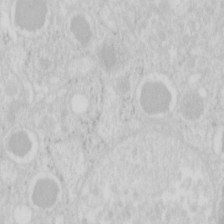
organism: Mouse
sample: Pancreas